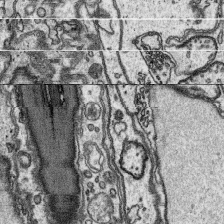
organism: Platynereis dumerilii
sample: Parapodia